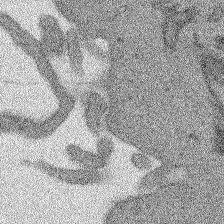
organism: Human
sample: HeLa cells